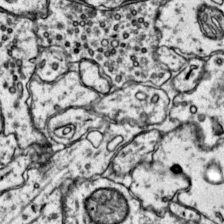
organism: Mouse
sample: Primary visual cortex